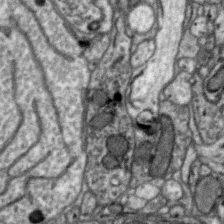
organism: Zebra finch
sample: Brain